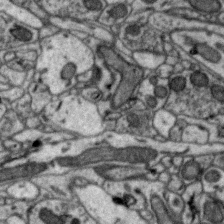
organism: Zebra finch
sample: Brain